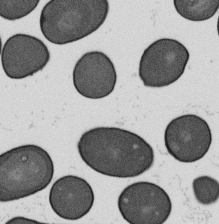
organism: B. subtilis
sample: Bacterial spore